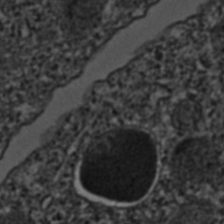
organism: C. elegans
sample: C. elegans embryo